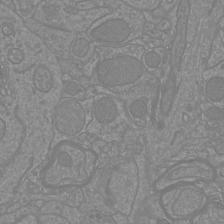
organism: Mouse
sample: Cortical neurons